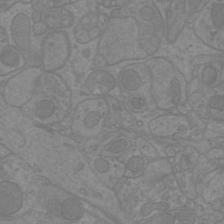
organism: Mouse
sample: Cortical neurons